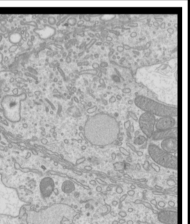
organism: Mouse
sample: Cilia; mouse epididymis